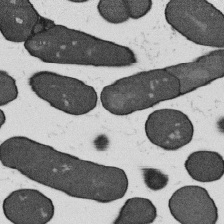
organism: B. subtilis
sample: Bacterial spore